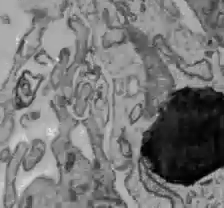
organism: C57BL Mouse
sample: Liver